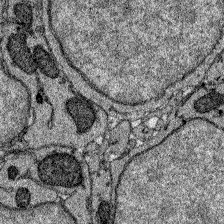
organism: Zebrafish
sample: Larval olfactory bulb